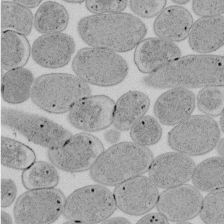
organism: E. coli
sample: Bacterial nucleoid